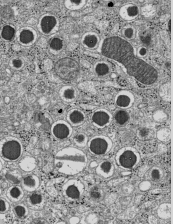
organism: C57BL Mouse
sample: Pancreatic islet